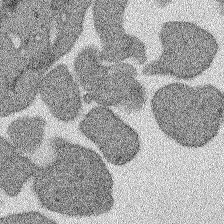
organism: Human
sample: HeLa cells